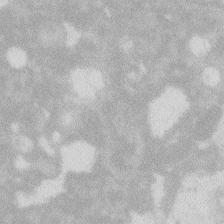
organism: Zebrafish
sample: Macrophage